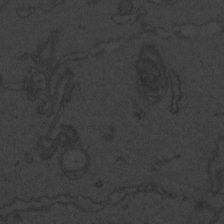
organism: Zebrafish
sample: Macrophage infected with Toxoplasma gondii